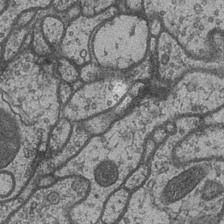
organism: Drosophila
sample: Optic medulla